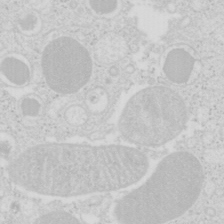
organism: Mouse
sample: Pancreas